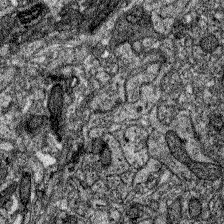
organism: Zebrafish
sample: Larval olfactory bulb